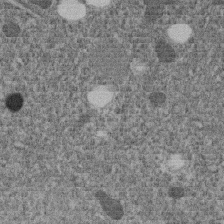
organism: C. elegans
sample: C. elegans embryo early stage